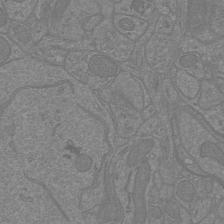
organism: Mouse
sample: Cortical neurons